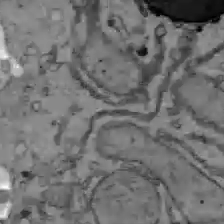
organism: C57BL Mouse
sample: Liver